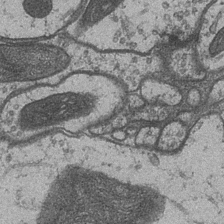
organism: Drosophila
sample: Optic medulla